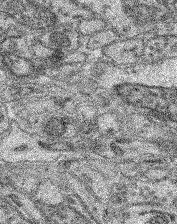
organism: Mouse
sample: Retina